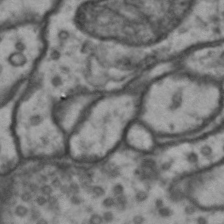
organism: Drosophila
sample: Brain